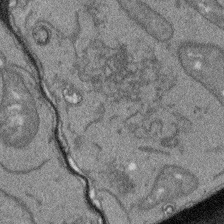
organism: Arabidopsis thaliana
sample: Root tip